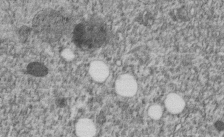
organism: C. elegans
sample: C. elegans embryo early stage